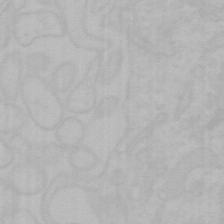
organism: Mouse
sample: Choroid plexus